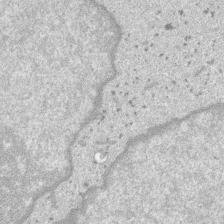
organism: Human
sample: Lung epithelial cells infected with SARS-CoV-2